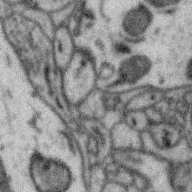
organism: Zebra finch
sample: Brain